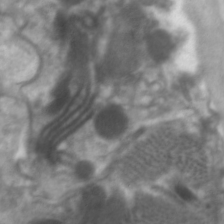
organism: C. elegans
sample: Pharynx